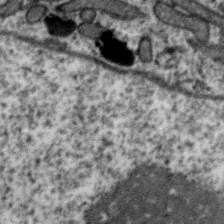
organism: Zebra finch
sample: Brain